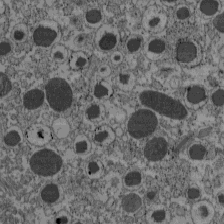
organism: C57BL Mouse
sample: Pancreatic islet